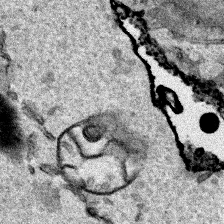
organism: Human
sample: Mitochondria in HCT116 cells